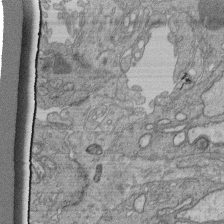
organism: Human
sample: Retinal organoid Rod and Cone cells